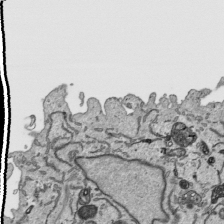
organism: Human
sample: Mitochondria in HCT116 cells